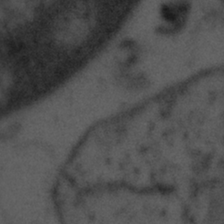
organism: Tuwongella immobilis